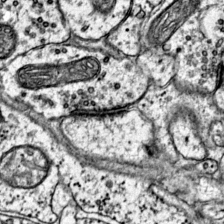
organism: Mouse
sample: Primary visual cortex